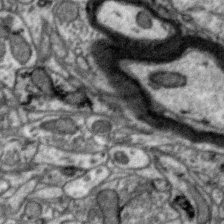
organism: Zebra finch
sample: Brain